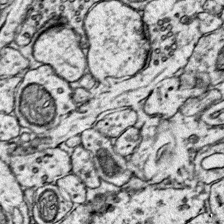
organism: Mouse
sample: Primary visual cortex